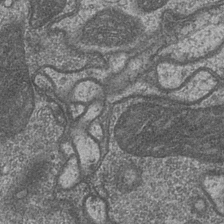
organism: Drosophila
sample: Optic medulla